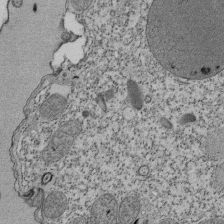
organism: Tetrahymena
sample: Cilia in tetrahymena